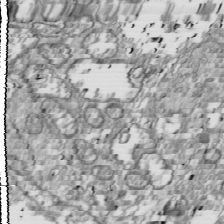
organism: Drosophila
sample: Cell division; meiosis; drosophila spermatocytes